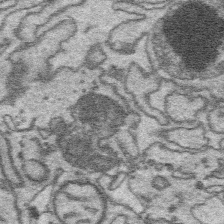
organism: Platynereis dumerilii